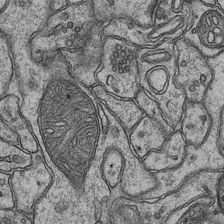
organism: Mouse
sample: CA1 Hippocampus